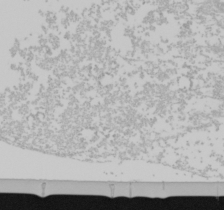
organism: Mouse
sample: Cancer cell death in ED-1 cells